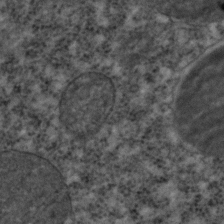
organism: C. elegans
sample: C. elegans embryo